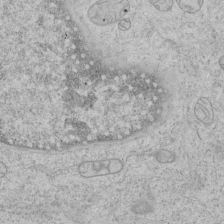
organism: Human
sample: Mitochondria in HCT116 cells